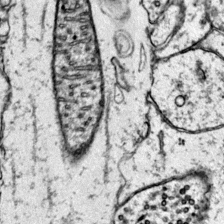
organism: Mouse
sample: Primary visual cortex